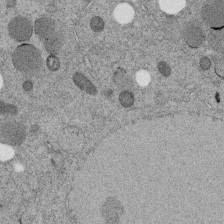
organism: C. elegans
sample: C. elegans embryo early stage